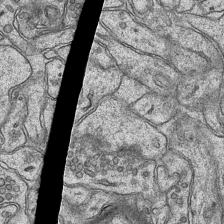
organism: Mouse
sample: CA1 Hippocampus